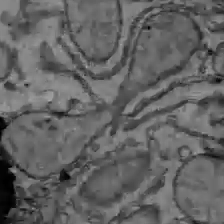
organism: C57BL Mouse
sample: Liver